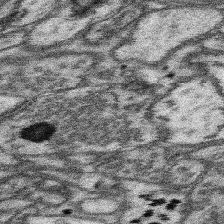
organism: Mouse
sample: Somatosensory cortex neuropil